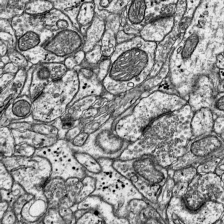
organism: Mouse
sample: Visual Cortex